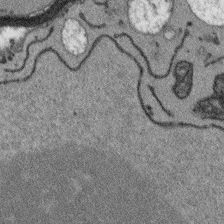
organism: Arabidopsis thaliana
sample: Root tip